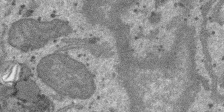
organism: Human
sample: Lung epithelial cells infected with SARS-CoV-2